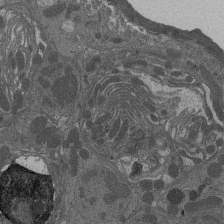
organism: Drosophila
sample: Antenna